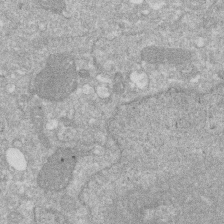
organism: Human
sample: HIV infected U937 cells